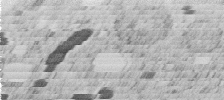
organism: C. elegans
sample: C. elegans embryo early stage